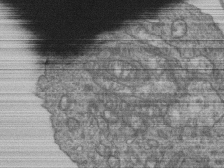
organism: Human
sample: Retinal organoid Rod and Cone cells